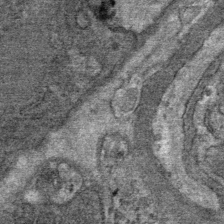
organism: Mouse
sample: Mouse Salivary gland